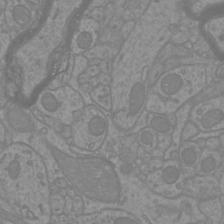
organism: Mouse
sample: Cortical neurons